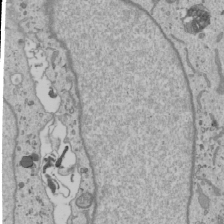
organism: Human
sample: Mitochondria in U2OS cells